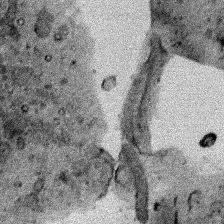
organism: Human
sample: Mitochondria in HCT116 cells